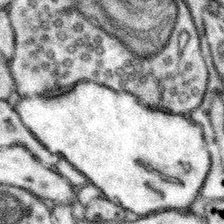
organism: Mouse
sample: Somatosensory cortex neuropil